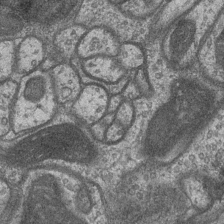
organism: Drosophila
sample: Optic medulla